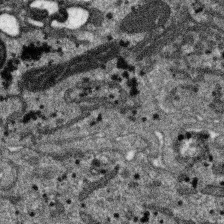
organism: Human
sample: Lung epithelial cells infected with SARS-CoV-2